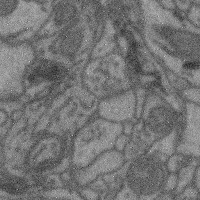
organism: Mouse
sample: Cerebral cortex